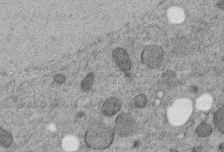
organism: C. elegans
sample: C. elegans embryo early stage